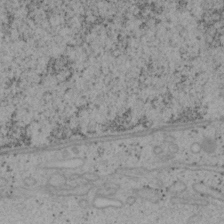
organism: Human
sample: HeLa cells